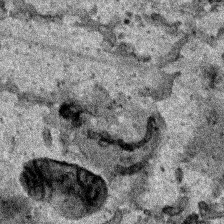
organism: Human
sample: Mitochondria in HCT116 cells